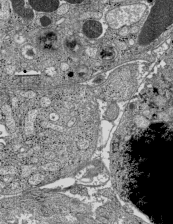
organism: C57BL Mouse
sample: Pancreatic islet